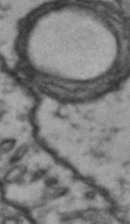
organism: Drosophila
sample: Brain